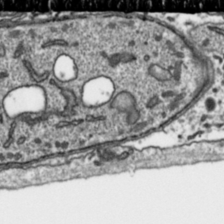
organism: Toxoplasma gondii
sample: Parasites in a vacuole inside a host cell